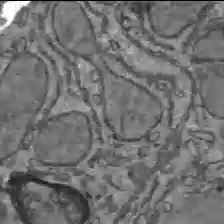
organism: C57BL Mouse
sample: Liver